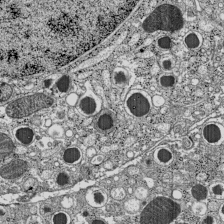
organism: C57BL Mouse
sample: Pancreatic islet